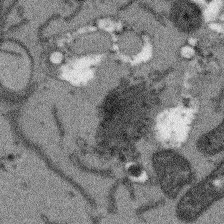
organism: Arabidopsis thaliana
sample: Root tip